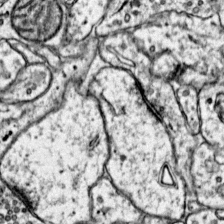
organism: Mouse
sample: Primary visual cortex